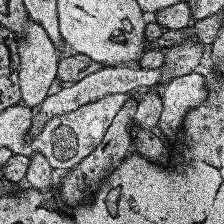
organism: Human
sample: Temporal Lobe